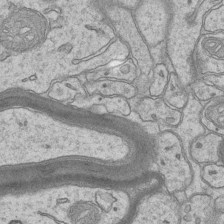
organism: Mouse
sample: CA1 Hippocampus